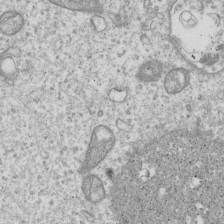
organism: Human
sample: MDA-MB-231 cells